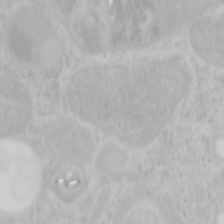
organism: Mouse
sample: OT-I killer T cells with ID8 ovarian cancer cells